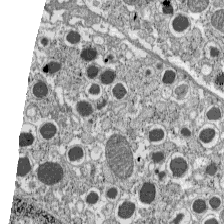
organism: C57BL Mouse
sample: Pancreatic islet